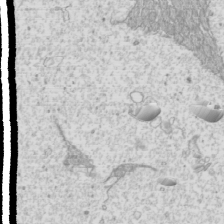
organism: Mouse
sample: Cilia; mouse epididymis